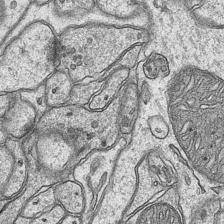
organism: Mouse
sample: CA1 Hippocampus